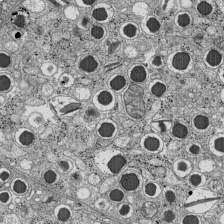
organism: C57BL Mouse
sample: Pancreatic islet